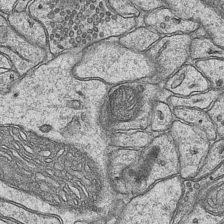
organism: Mouse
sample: CA1 Hippocampus